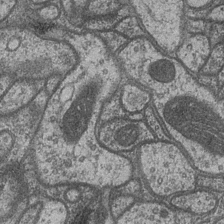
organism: Drosophila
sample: Optic medulla